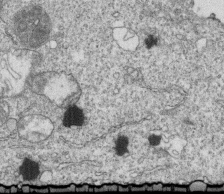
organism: Human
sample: HeLa cell HIV synapse